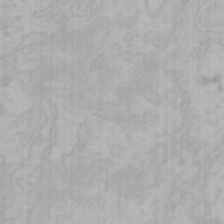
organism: Mouse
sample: Choroid plexus